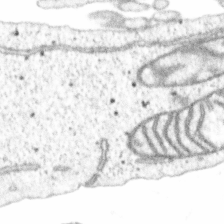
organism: Human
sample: HeLa cells